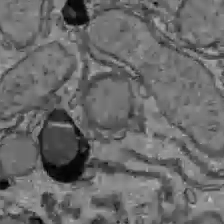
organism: C57BL Mouse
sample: Liver